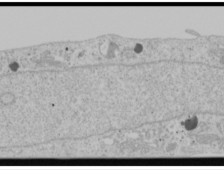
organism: Human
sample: Mitochondria in U2OS cells